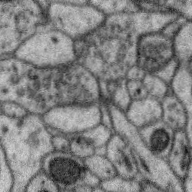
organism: Zebra finch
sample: Brain